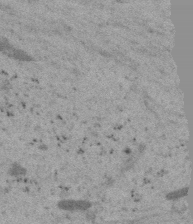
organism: Human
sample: HeLa cells